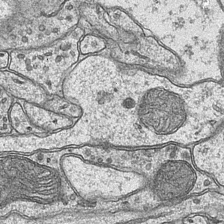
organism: Mouse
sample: CA1 Hippocampus